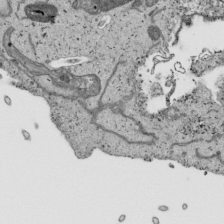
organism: Human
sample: Mitochondria in HCT116 cells